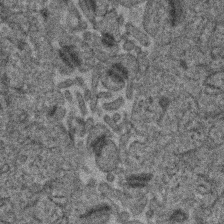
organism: Human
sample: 1205lu cells